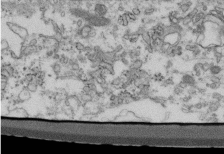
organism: Mouse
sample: Cilia; retinal pigment epithelium